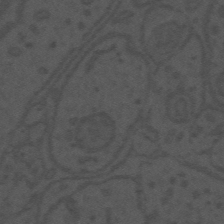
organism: Mouse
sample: Suprachiasmatic nucleus